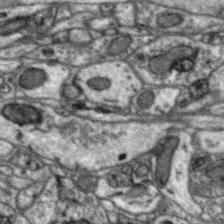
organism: Zebra finch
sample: Brain